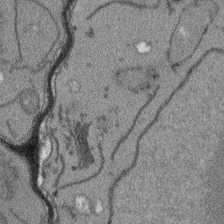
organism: Arabidopsis thaliana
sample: Root tip